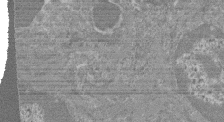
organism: Mouse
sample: Glomerulus